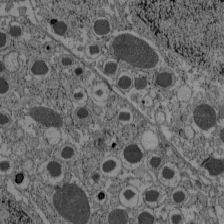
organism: C57BL Mouse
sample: Pancreatic islet